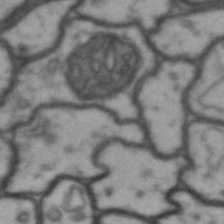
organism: Drosophila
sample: Brain